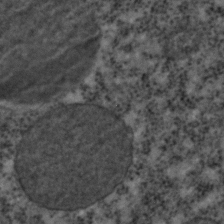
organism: C. elegans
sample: C. elegans embryo